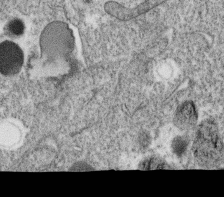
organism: C. elegans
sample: C. elegans oocyte; sperm cells